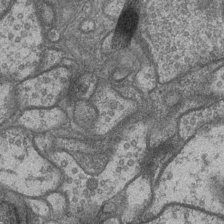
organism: Drosophila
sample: Optic medulla